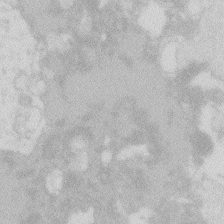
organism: Zebrafish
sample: Macrophage